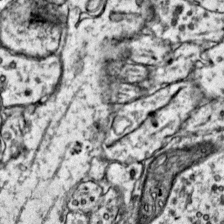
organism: Mouse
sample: Primary visual cortex